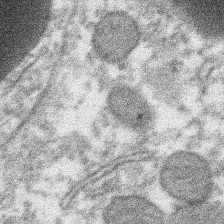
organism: Xenopus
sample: Cilia; centrioles in frog embryo cells